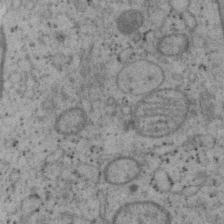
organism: Human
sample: HeLa cells